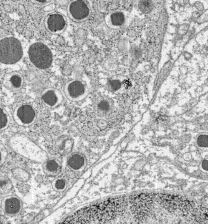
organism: C57BL Mouse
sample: Pancreatic islet